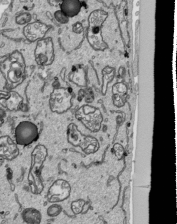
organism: Human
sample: Mitochondria in HCT116 cells